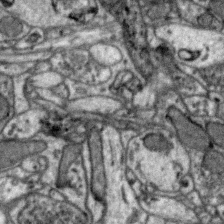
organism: Zebra finch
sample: Brain